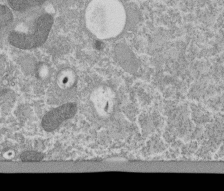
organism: Tetrahymena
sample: Cilia in tetrahymena